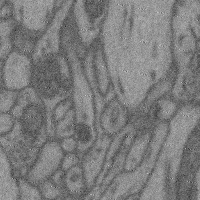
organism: Mouse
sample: Cerebral cortex